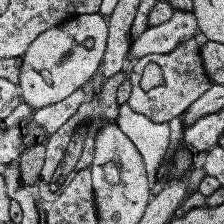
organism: Human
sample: Temporal Lobe